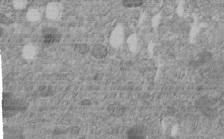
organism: C. elegans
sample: C. elegans embryo early stage